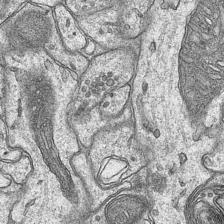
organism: Mouse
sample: CA1 Hippocampus